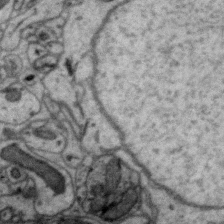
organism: Zebra finch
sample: Brain